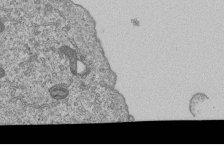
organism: Human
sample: MDA-MB-231 cells